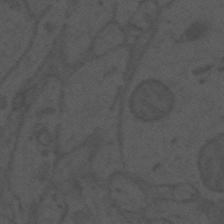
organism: Mouse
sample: Suprachiasmatic nucleus